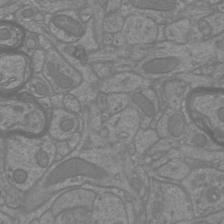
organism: Mouse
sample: Cortical neurons